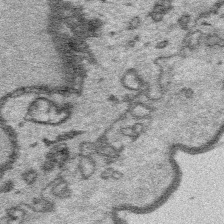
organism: Platynereis dumerilii